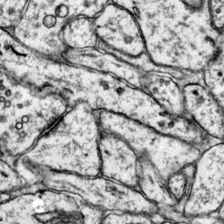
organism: Mouse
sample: Primary visual cortex